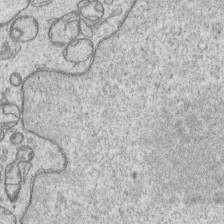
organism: Human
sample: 1205lu cells